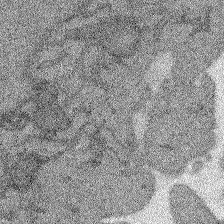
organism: Human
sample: HeLa cells